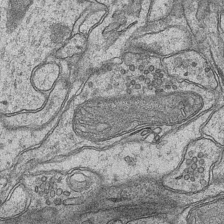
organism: Mouse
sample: CA1 Hippocampus